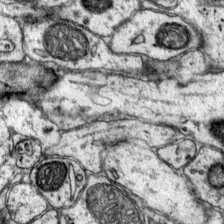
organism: Mouse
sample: Primary visual cortex